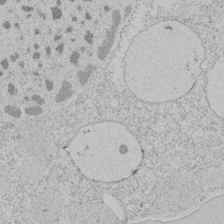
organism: Tetrahymena